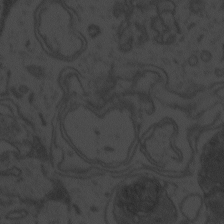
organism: Zebrafish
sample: Macrophage infected with Toxoplasma gondii